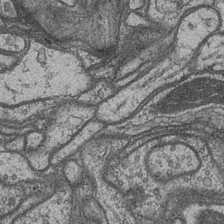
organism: Drosophila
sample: Optic medulla